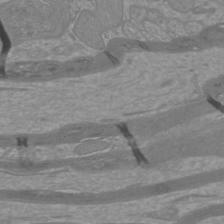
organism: Mouse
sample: Cortical neurons